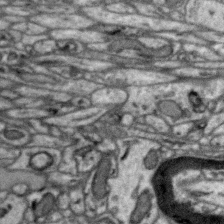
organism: Zebra finch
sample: Brain